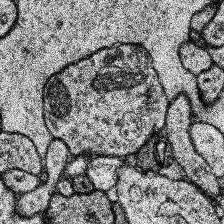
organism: Human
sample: Temporal Lobe